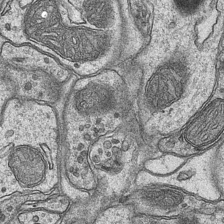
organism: Mouse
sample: CA1 Hippocampus